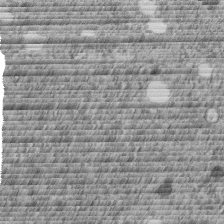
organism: C. elegans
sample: C. elegans embryo early stage